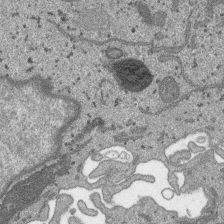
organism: Human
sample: Lung epithelial cells infected with SARS-CoV-2